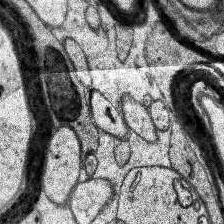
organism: Human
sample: Temporal Lobe